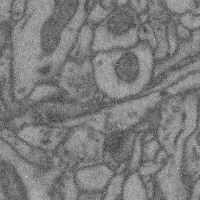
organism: Mouse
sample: Cerebral cortex